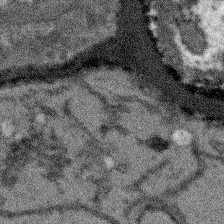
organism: Arabidopsis thaliana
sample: Root tip